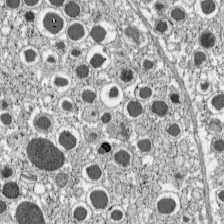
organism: C57BL Mouse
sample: Pancreatic islet